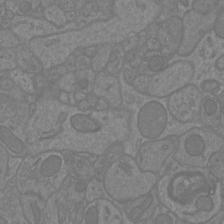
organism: Mouse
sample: Cortical neurons